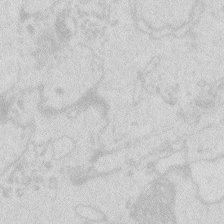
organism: Zebrafish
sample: Macrophage